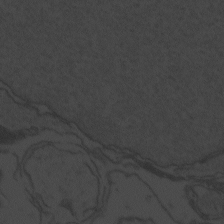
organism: Zebrafish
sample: Macrophage infected with Toxoplasma gondii